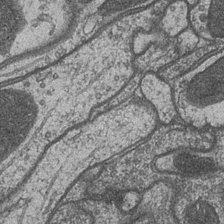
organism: Drosophila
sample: Optic medulla